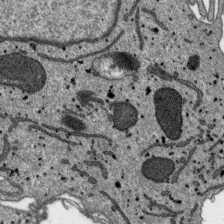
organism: Human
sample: Lung epithelial cells, uninfected (mock) control